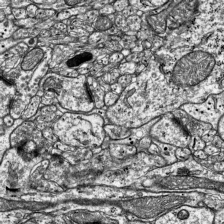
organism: Mouse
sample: Visual Cortex